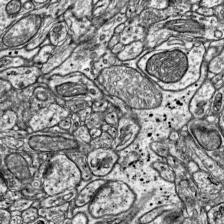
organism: Mouse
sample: Visual Cortex